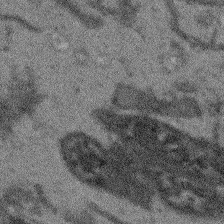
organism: Arabidopsis thaliana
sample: Root tip